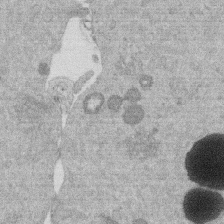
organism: Mouse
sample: Dividing mouse embryo 1 cell stage